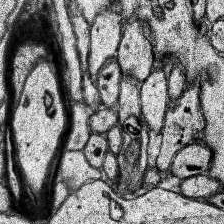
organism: Human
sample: Temporal Lobe